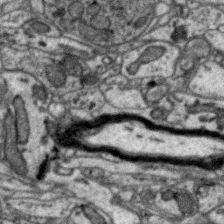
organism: Zebra finch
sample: Brain